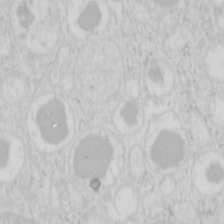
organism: Mouse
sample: Pancreas